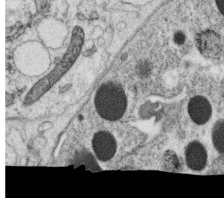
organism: C. elegans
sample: C. elegans oocyte; sperm cells